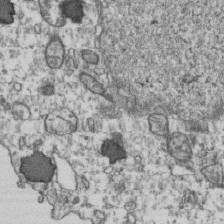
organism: Human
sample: Activated Jurkat CD4+ T cells